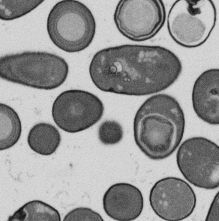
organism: B. subtilis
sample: Bacterial spore